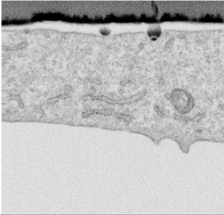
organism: Human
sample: Centriole in RPE cells